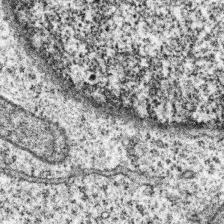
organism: Human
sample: HeLa cells